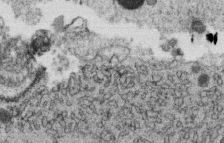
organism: C. elegans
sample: C. elegans oocyte; sperm cells